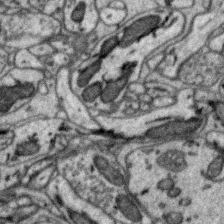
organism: Zebra finch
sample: Brain